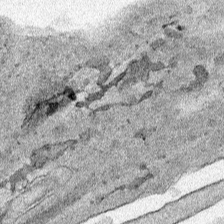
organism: Human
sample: Mitochondria in HCT116 cells